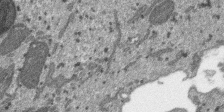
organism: Human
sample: Lung epithelial cells infected with SARS-CoV-2